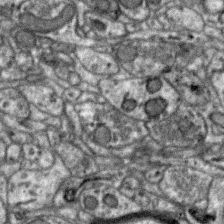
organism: Zebra finch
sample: Brain